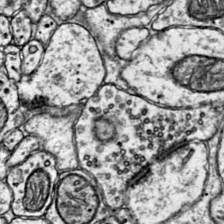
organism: Mouse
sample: Primary visual cortex